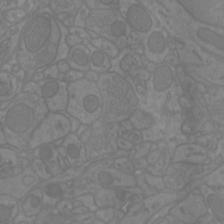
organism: Mouse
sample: Cortical neurons